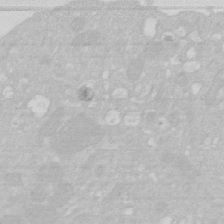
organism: Human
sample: HIV infected U937 cells